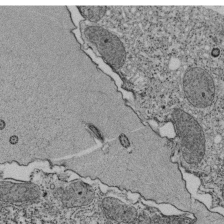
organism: Tetrahymena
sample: Cilia in tetrahymena